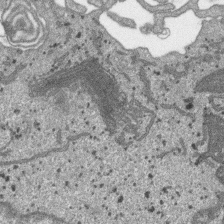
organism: Human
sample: Lung epithelial cells infected with SARS-CoV-2